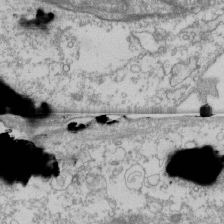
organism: Human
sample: Fibroblast cells